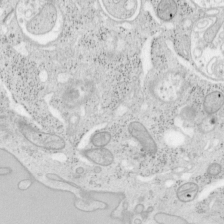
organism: Mouse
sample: OT-I killer T cells with ID8 ovarian cancer cells